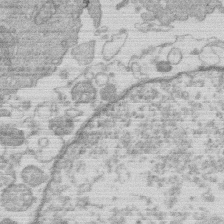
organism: Human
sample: Macrophage cells